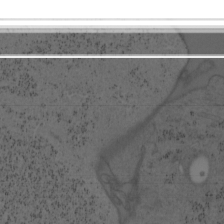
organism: Mouse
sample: OT-I killer T cells with ID8 ovarian cancer cells